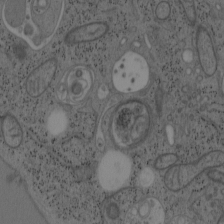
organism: Mouse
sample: OT-I killer T cells with ID8 ovarian cancer cells